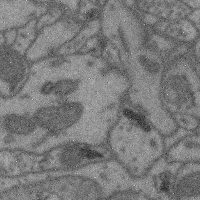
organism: Mouse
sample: Cerebral cortex